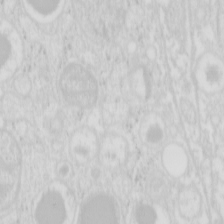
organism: Mouse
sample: Pancreas